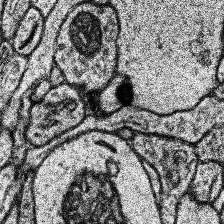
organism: Human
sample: Temporal Lobe